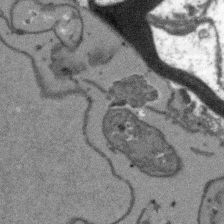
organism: Arabidopsis thaliana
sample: Root tip